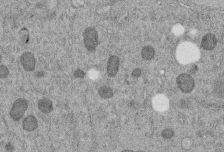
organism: C. elegans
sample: C. elegans embryo early stage